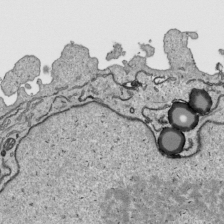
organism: Human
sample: Mitochondria in HCT116 cells